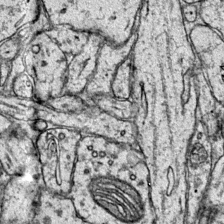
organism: Mouse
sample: Primary visual cortex